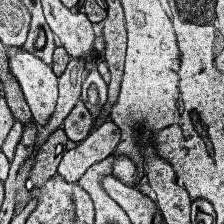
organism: Human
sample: Temporal Lobe